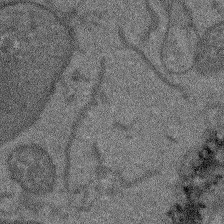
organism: Arabidopsis thaliana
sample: Root tip